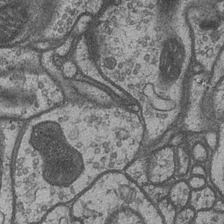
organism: Drosophila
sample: Optic medulla